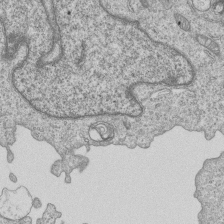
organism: Human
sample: MDA-MB-231 cells